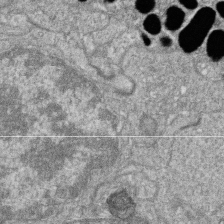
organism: Zebrafish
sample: Cilia; retinal pigment epithelium